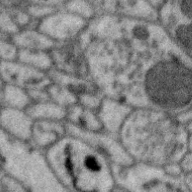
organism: Zebra finch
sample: Brain